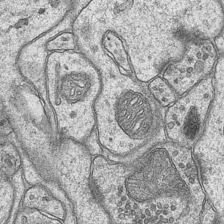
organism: Mouse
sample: CA1 Hippocampus